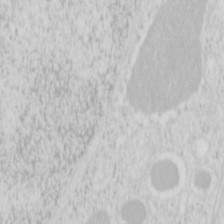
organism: Mouse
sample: Pancreas